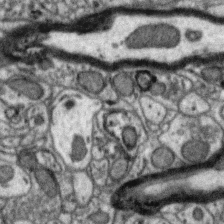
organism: Zebra finch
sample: Brain